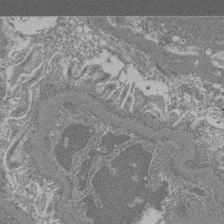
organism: Mouse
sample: Glomerulus